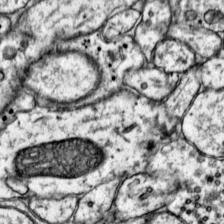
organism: Mouse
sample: Primary visual cortex